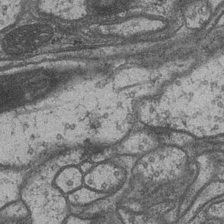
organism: Drosophila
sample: Optic medulla